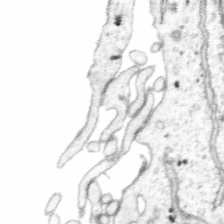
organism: Human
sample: HeLa cells